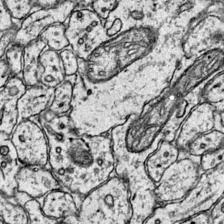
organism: Mouse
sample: Primary visual cortex